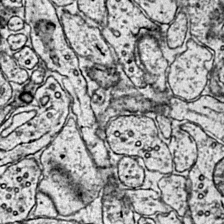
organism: Mouse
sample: Primary visual cortex